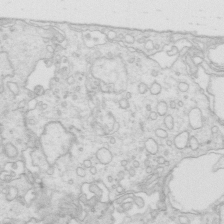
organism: Mouse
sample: Multiciliated cells